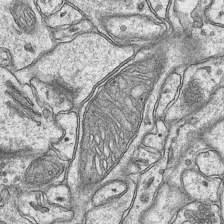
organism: Mouse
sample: CA1 Hippocampus